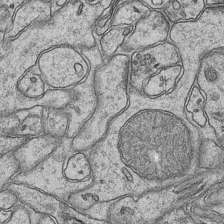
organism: Mouse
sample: CA1 Hippocampus